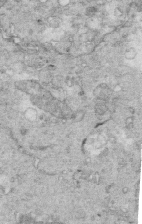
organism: Mouse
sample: Multiciliated cells